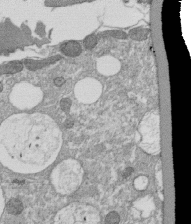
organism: Tetrahymena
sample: Cilia in tetrahymena